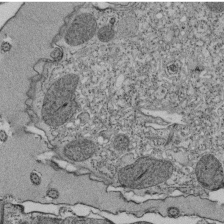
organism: Tetrahymena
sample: Cilia in tetrahymena